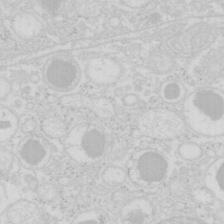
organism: Mouse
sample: Pancreas